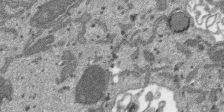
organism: Human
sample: Lung epithelial cells infected with SARS-CoV-2